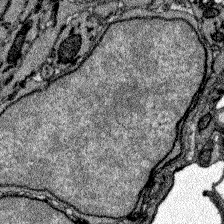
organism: Zebrafish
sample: Larval olfactory bulb